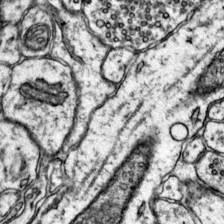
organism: Mouse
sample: Primary visual cortex